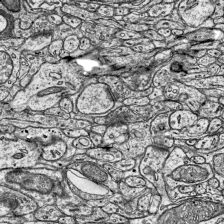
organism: Mouse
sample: Visual Cortex